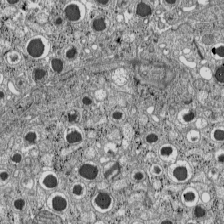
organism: C57BL Mouse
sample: Pancreatic islet